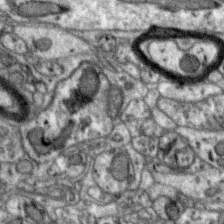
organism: Zebra finch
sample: Brain